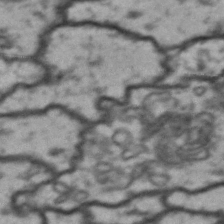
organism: Drosophila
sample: Brain